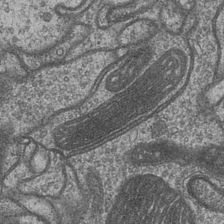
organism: Drosophila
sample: Optic medulla